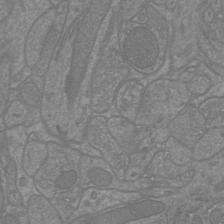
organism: Mouse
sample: Cortical neurons